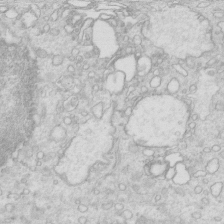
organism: Mouse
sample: Multiciliated cells